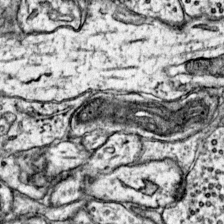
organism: Mouse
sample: Primary visual cortex